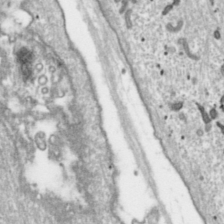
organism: Toxoplasma gondii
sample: Parasites in a vacuole inside a host cell